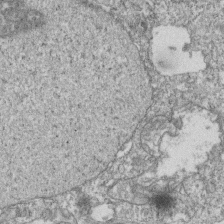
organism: Human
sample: HeLa cell HIV synapse